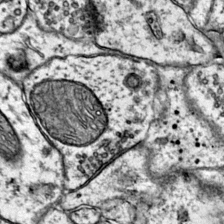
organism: Mouse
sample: Primary visual cortex